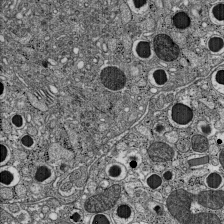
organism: C57BL Mouse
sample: Pancreatic islet